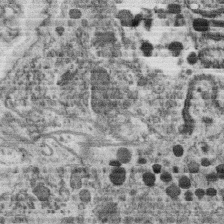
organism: C. elegans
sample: C. elegans oocyte; sperm cells